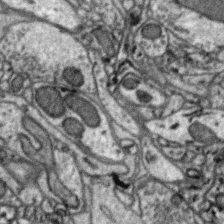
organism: Zebra finch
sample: Brain